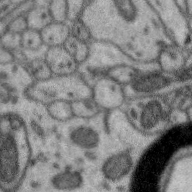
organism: Zebra finch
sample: Brain